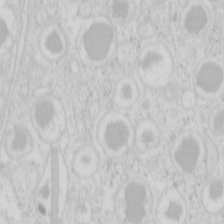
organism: Mouse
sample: Pancreas